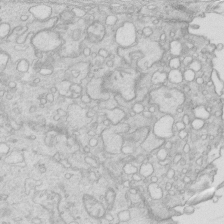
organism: Mouse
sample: Multiciliated cells